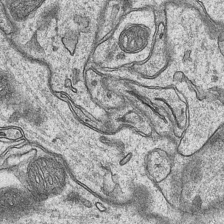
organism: Mouse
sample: CA1 Hippocampus